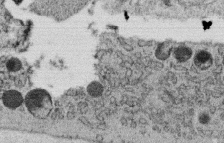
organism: C. elegans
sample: C. elegans oocyte; sperm cells